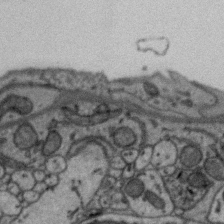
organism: Zebra finch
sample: Brain